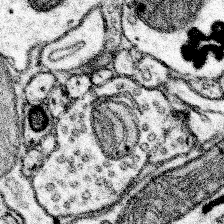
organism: Mouse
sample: Somatosensory cortex neuropil